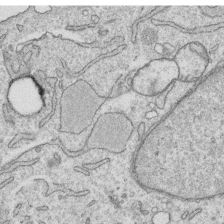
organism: Human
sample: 1205lu cells